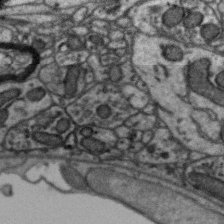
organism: Zebra finch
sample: Brain